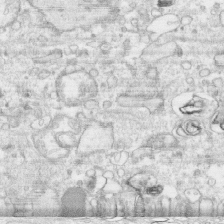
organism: Human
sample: CRL-1474